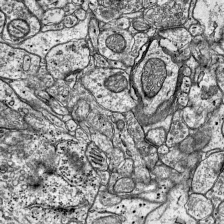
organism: Mouse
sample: Visual Cortex